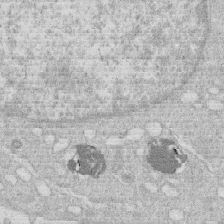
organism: Human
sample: Macrophage cells